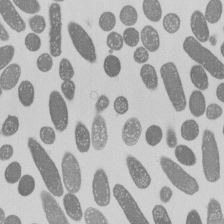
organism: E. coli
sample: Bacterial nucleoid